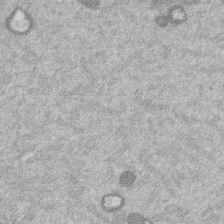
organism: Mouse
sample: Dividing mouse embryo 1 cell stage